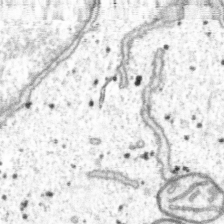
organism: Human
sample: HeLa cells